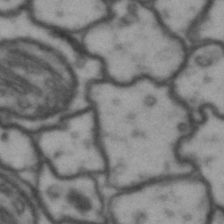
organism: Drosophila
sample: Brain